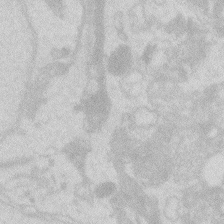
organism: Zebrafish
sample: Macrophage